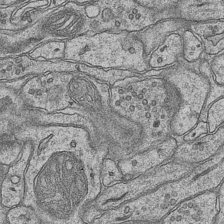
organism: Mouse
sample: CA1 Hippocampus